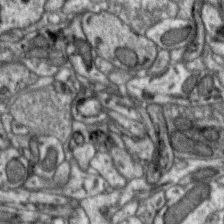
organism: Zebra finch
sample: Brain